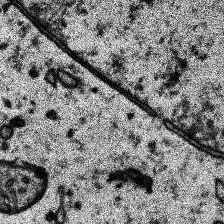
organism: Human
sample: Temporal Lobe